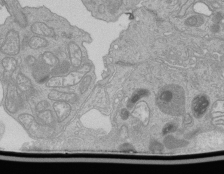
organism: Human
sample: Retinal organoid Rod and Cone cells